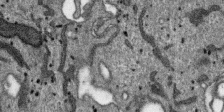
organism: Human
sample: Lung epithelial cells, uninfected (mock) control